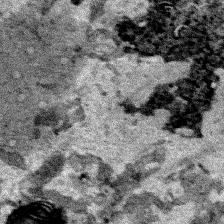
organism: Human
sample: Mitochondria in HCT116 cells